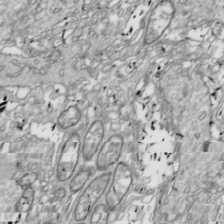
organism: Drosophila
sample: Cell division; meiosis; drosophila spermatocytes